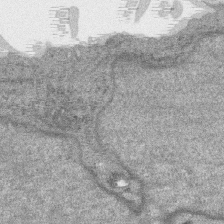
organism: Human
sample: Lung epithelial cells infected with SARS-CoV-2